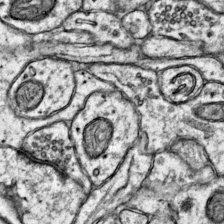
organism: Mouse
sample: Primary visual cortex